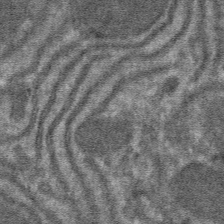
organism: Mouse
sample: Mouse hepatocytes